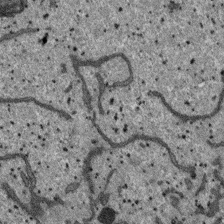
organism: Human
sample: Lung epithelial cells, uninfected (mock) control